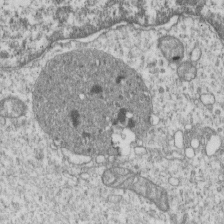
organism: Human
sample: MDA-MB-231 cells